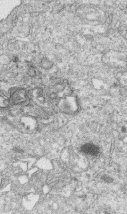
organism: Human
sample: HeLa cell HIV synapse